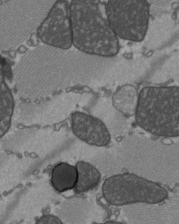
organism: C57BL Mouse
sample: Heart